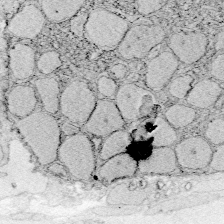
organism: Zebrafish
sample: Whole-Brain